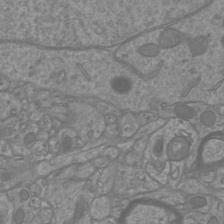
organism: Mouse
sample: Cortical neurons